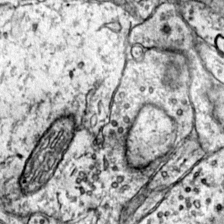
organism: Mouse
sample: Primary visual cortex